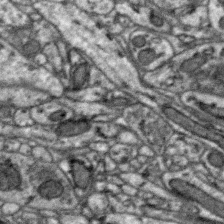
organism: Zebra finch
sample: Brain